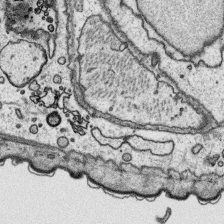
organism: Platynereis dumerilii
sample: Parapodia